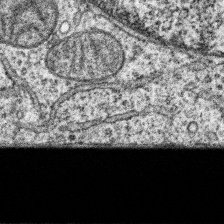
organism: Human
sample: HeLa cells